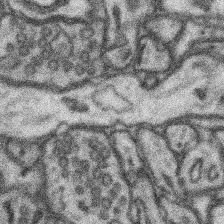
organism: Mouse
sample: Somatosensory cortex neuropil